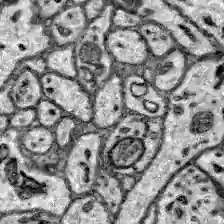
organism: Zebrafish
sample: Brain